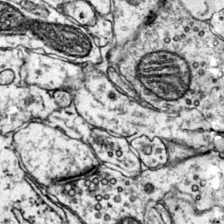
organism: Mouse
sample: Primary visual cortex